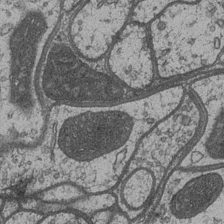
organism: Drosophila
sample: Optic medulla